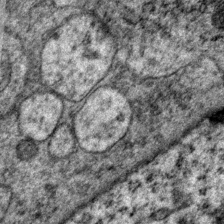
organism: P. pacificus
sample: Pharynx